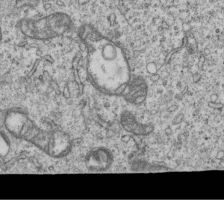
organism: Human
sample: MDA-MB-231 cells